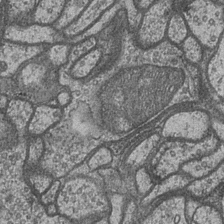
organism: Drosophila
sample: Optic medulla